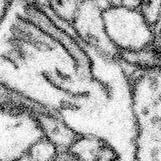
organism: Mouse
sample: Somatosensory cortex neuropil